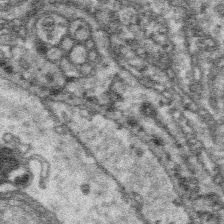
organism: Platynereis dumerilii